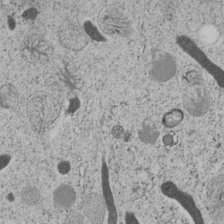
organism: C. elegans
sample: C. elegans embryo early stage